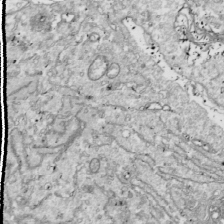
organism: Drosophila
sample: Cell division; meiosis; drosophila spermatocytes